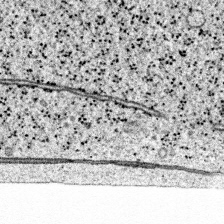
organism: Human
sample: HeLa cells